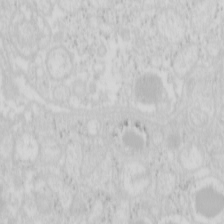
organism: Mouse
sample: Pancreas